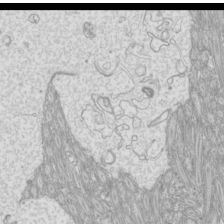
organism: Mouse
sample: Cilia; mouse epididymis